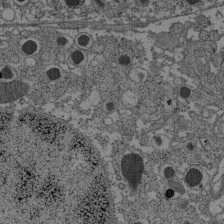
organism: C57BL Mouse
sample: Pancreatic islet